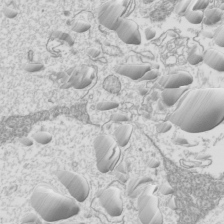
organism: Mouse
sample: Cilia; mouse epididymis